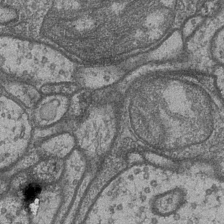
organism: Drosophila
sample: Optic medulla